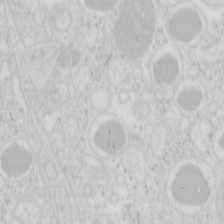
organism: Mouse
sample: Pancreas